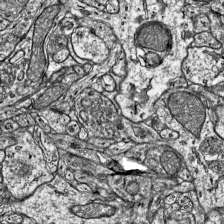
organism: Mouse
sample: Visual Cortex